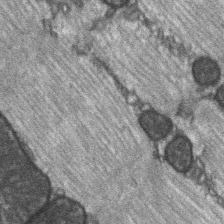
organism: C57BL Mouse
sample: Soleus